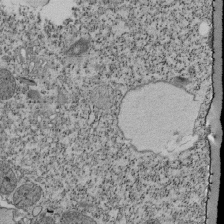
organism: Tetrahymena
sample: Cilia in tetrahymena